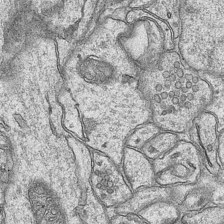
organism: Mouse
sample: CA1 Hippocampus